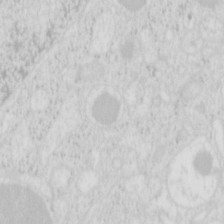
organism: Mouse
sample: Pancreas